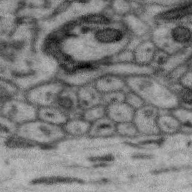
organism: Zebra finch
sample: Brain